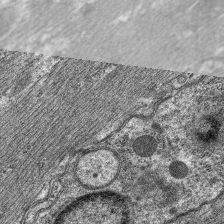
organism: C. elegans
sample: Pharynx